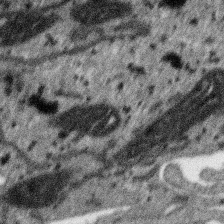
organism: Human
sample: Lung epithelial cells infected with SARS-CoV-2